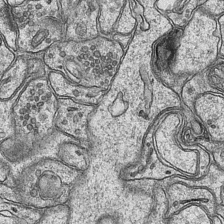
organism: Mouse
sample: CA1 Hippocampus